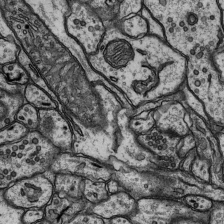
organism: Rat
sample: Hippocampus